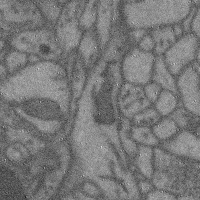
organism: Mouse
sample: Cerebral cortex